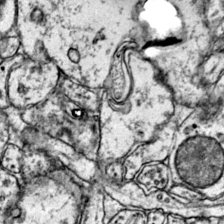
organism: Mouse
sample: Primary visual cortex